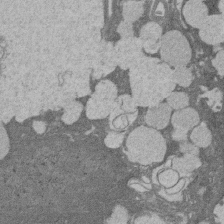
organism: Rat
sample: Salivary granule